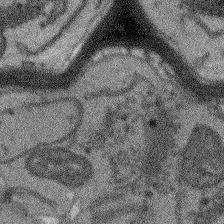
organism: Arabidopsis thaliana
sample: Root tip